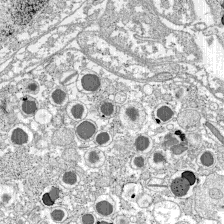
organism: C57BL Mouse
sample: Pancreatic islet